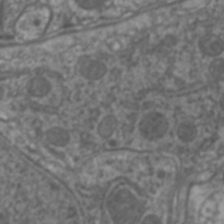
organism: C. elegans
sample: Pharynx